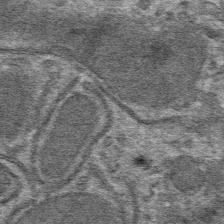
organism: Mouse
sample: Mouse hepatocytes